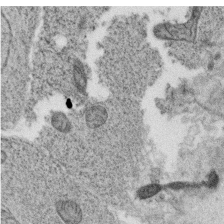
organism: C. elegans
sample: C. elegans oocyte; sperm cells